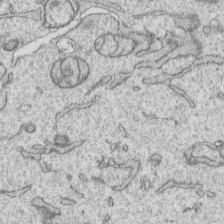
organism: Human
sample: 1205lu cells